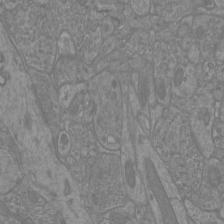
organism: Mouse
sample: Cortical neurons